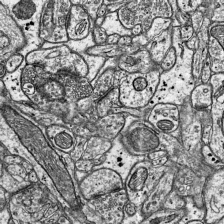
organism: Mouse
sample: Visual Cortex